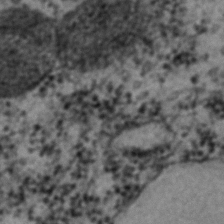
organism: C. elegans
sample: C. elegans embryo